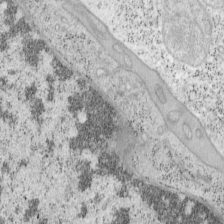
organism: Mouse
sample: OT-I killer T cells with ID8 ovarian cancer cells